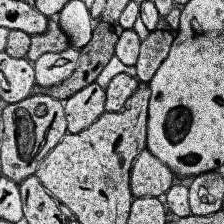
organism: Human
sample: Temporal Lobe